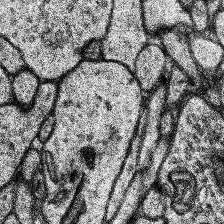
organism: Human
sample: Temporal Lobe